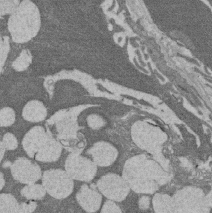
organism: Rat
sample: Salivary granule